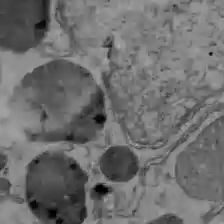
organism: C57BL Mouse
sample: Liver